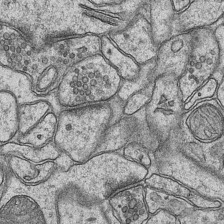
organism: Mouse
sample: CA1 Hippocampus